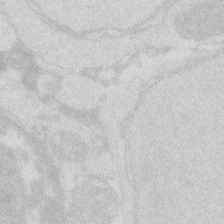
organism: Zebrafish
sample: Macrophage